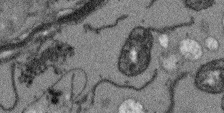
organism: Arabidopsis thaliana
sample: Root tip